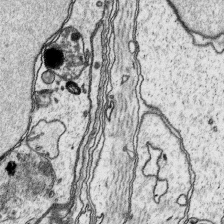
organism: Platynereis dumerilii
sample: Parapodia